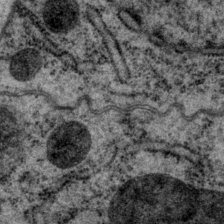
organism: P. pacificus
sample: Pharynx